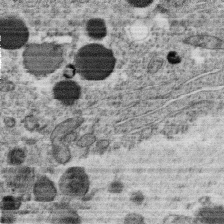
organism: C. elegans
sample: C. elegans oocyte; sperm cells